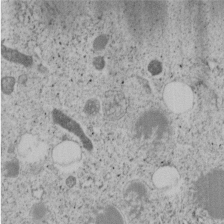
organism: C. elegans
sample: C. elegans embryo early stage